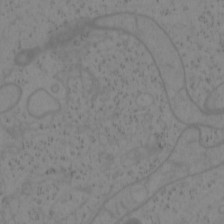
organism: Human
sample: HeLa cells